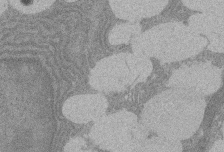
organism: Rat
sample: Salivary granule